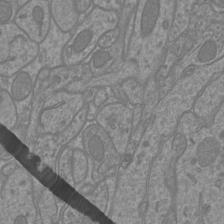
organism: Mouse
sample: Cortical neurons